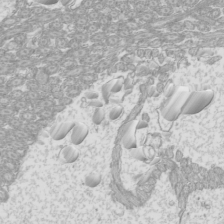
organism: Mouse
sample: Cilia; mouse epididymis